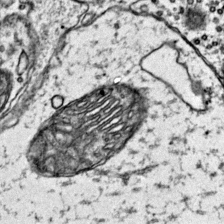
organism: Mouse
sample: Primary visual cortex